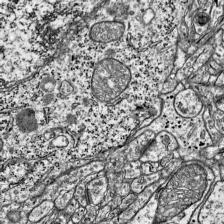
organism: Mouse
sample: Visual Cortex